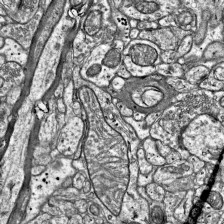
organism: Mouse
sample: Visual Cortex